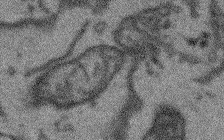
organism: Arabidopsis thaliana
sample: Root tip